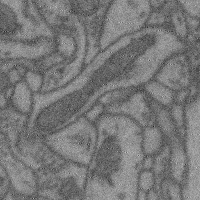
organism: Mouse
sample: Cerebral cortex